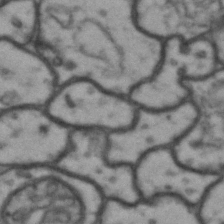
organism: Drosophila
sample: Brain